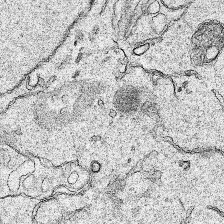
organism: Human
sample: Mitochondria in HCT116 cells